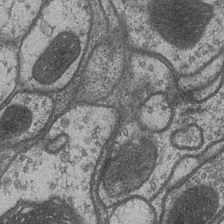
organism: Drosophila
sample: Optic medulla